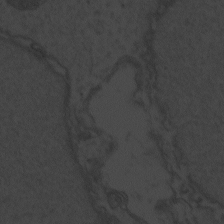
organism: Zebrafish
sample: Macrophage infected with Toxoplasma gondii